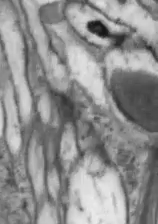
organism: Drosophila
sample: Optic lobe